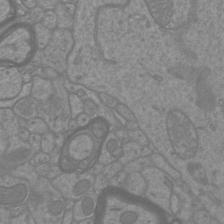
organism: Mouse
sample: Cortical neurons